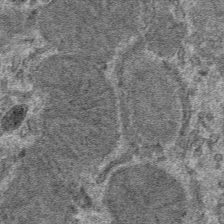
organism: Mouse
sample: Mouse hepatocytes